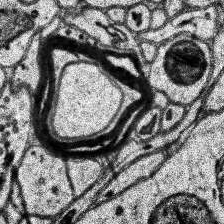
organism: Human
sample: Temporal Lobe